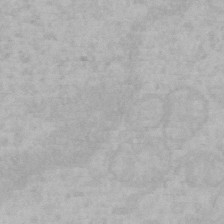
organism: Mouse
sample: Choroid plexus